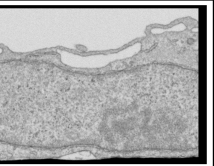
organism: Human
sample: Centriole in RPE cells